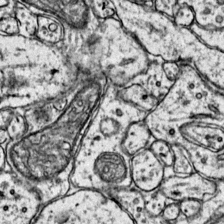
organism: Mouse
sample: Primary visual cortex